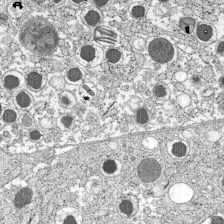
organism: C57BL Mouse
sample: Pancreatic islet